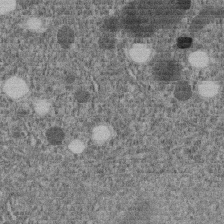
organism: C. elegans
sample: C. elegans embryo early stage